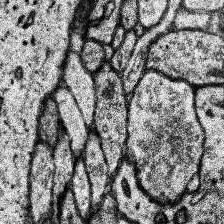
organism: Human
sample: Temporal Lobe